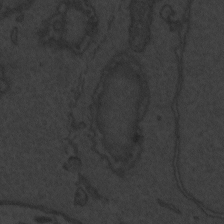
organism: Zebrafish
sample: Macrophage infected with Toxoplasma gondii